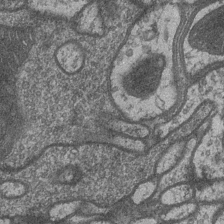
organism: Drosophila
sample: Optic medulla